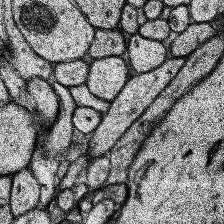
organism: Human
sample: Temporal Lobe